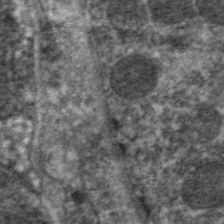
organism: C. elegans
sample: Pharynx